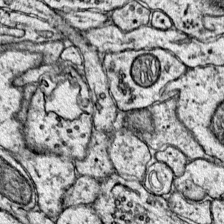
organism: Mouse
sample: Primary visual cortex